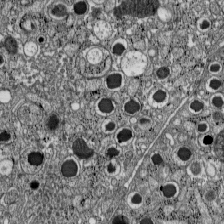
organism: C57BL Mouse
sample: Pancreatic islet